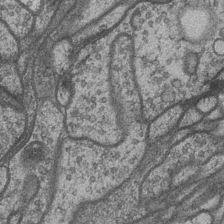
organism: Drosophila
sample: Optic medulla